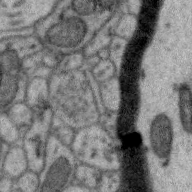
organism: Zebra finch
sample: Brain